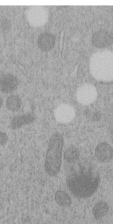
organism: C. elegans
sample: C. elegans embryo early stage